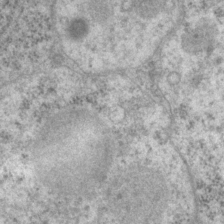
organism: P. pacificus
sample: Pharynx